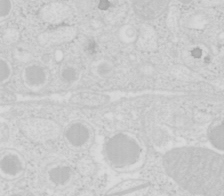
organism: Mouse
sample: Pancreas